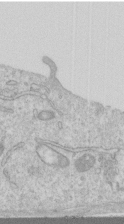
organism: Human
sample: Centriole in RPE cells